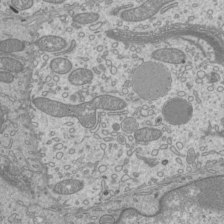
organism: Mouse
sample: Cilia; mouse epididymis